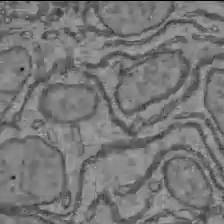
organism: C57BL Mouse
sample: Liver